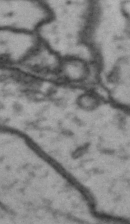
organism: Drosophila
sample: Brain